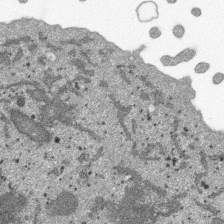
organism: Human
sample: Lung epithelial cells infected with SARS-CoV-2